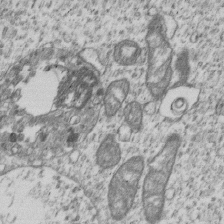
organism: Human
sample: MDA-MB-231 cells